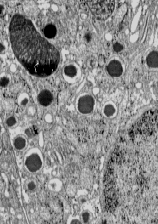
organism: C57BL Mouse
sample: Pancreatic islet